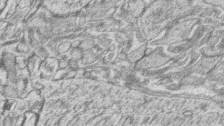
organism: Zebrafish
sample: synaptic ribbons in rod cells and cone cells